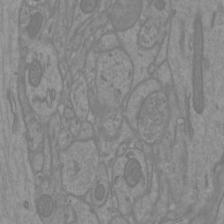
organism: Mouse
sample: Cortical neurons